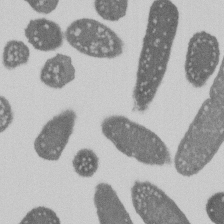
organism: E. coli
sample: Bacterial nucleoid